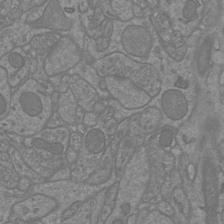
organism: Mouse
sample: Cortical neurons